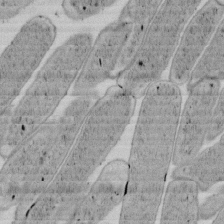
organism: E. coli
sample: Bacterial nucleoid